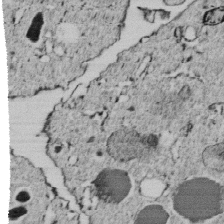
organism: C. elegans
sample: C. elegans embryo early stage